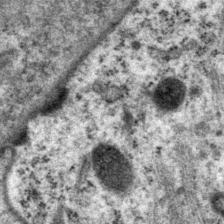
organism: P. pacificus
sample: Pharynx